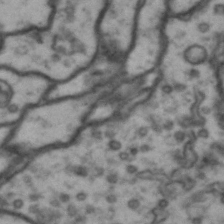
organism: Drosophila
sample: Brain